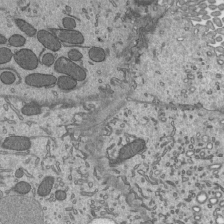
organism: Mouse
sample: Mouse epididymis efferent ductule cilia